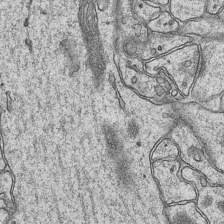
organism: Mouse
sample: CA1 Hippocampus